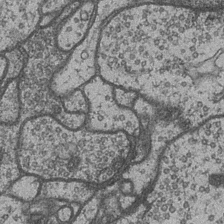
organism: Drosophila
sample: Optic medulla